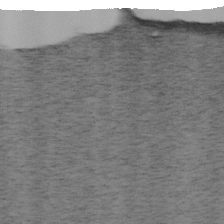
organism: Mouse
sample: OT-I killer T cells with ID8 ovarian cancer cells